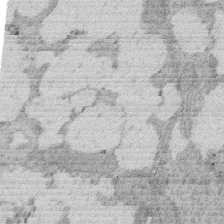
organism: Rat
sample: Salivary granule